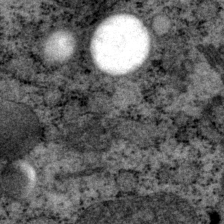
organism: P. pacificus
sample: Pharynx